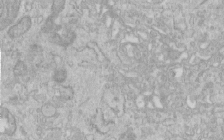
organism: Human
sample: Centriole in RPE cells